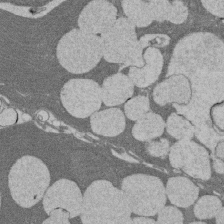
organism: Rat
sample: Salivary granule